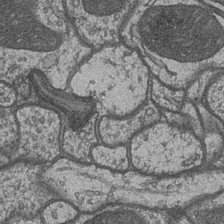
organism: Drosophila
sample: Optic medulla